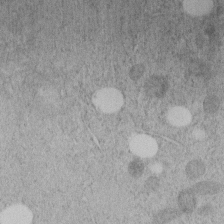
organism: C. elegans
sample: C. elegans embryo early stage